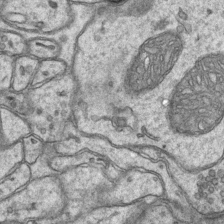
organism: Mouse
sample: CA1 Hippocampus